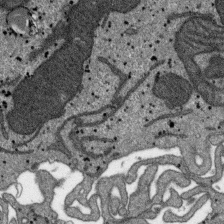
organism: Human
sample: Lung epithelial cells, uninfected (mock) control